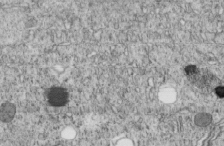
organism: C. elegans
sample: C. elegans embryo early stage